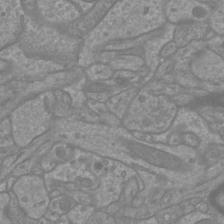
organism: Mouse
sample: Cortical neurons